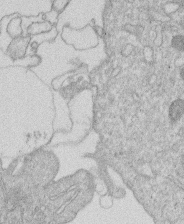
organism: Human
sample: Macrophage cells